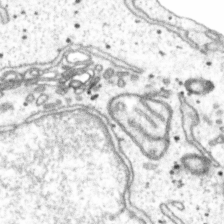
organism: Human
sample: HeLa cells